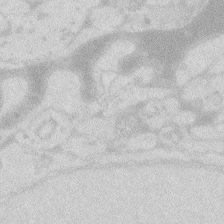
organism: Zebrafish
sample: Macrophage